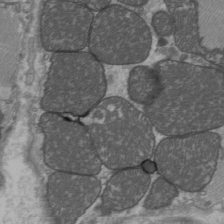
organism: C57BL Mouse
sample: Heart